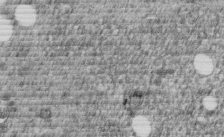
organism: C. elegans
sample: C. elegans embryo early stage